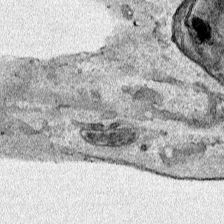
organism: Human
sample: Mitochondria in HCT116 cells